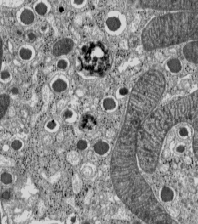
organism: C57BL Mouse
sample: Pancreatic islet